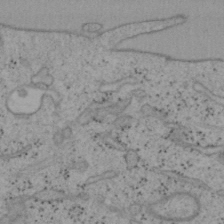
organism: Human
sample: HeLa cells